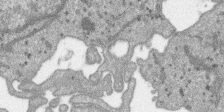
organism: Human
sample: Lung epithelial cells infected with SARS-CoV-2